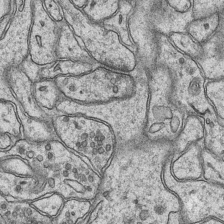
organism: Mouse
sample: CA1 Hippocampus